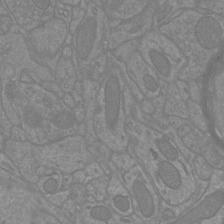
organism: Mouse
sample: Cortical neurons